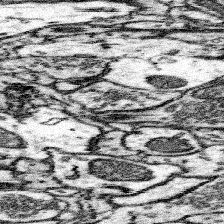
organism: Mouse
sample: Somatosensory cortex neuropil